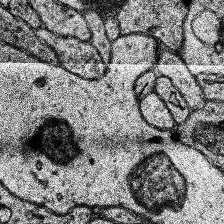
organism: Human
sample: Temporal Lobe